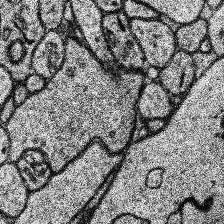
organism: Human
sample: Temporal Lobe